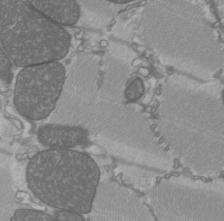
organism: C57BL Mouse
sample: Heart